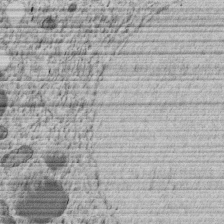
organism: C. elegans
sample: C. elegans embryo early stage